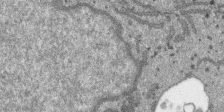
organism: Human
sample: Lung epithelial cells infected with SARS-CoV-2